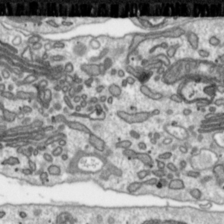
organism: Toxoplasma gondii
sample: Parasites in a vacuole inside a host cell